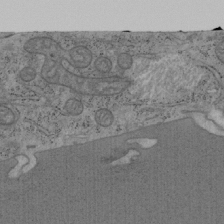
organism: Human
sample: HeLa cells